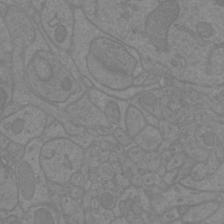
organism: Mouse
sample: Cortical neurons